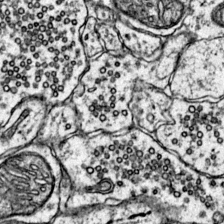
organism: Mouse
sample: Primary visual cortex